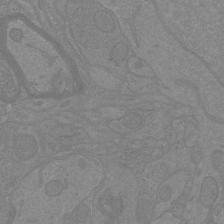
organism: Mouse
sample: Cortical neurons